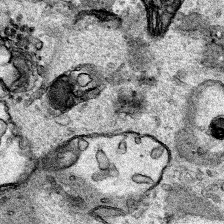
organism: Human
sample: Mitochondria in HCT116 cells